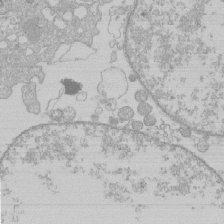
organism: Human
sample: Macrophage cells